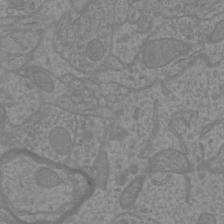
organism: Mouse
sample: Cortical neurons